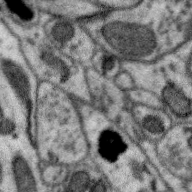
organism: Zebra finch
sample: Brain